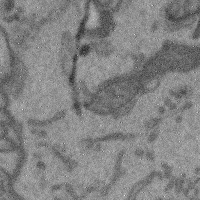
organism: Mouse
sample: Cerebral cortex